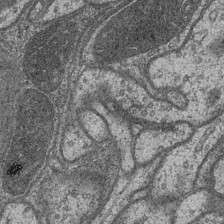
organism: Drosophila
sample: Optic medulla